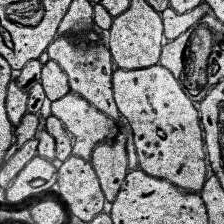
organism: Human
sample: Temporal Lobe